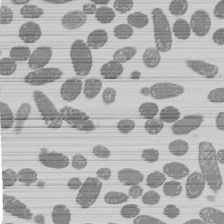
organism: E. coli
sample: Bacterial nucleoid